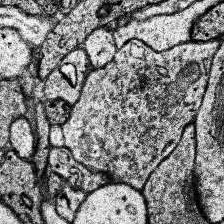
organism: Human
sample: Temporal Lobe